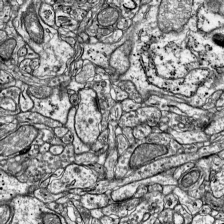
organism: Mouse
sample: Visual Cortex